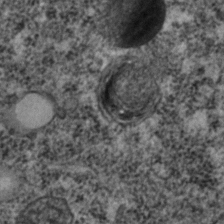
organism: C. elegans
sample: C. elegans embryo